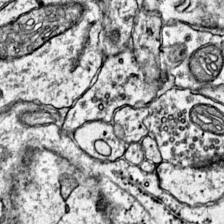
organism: Mouse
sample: Primary visual cortex